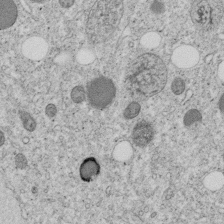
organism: C. elegans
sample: C. elegans embryo early stage